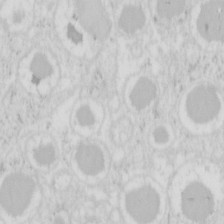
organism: Mouse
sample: Pancreas